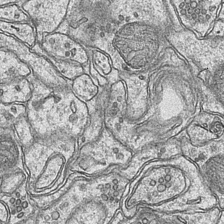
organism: Mouse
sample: CA1 Hippocampus